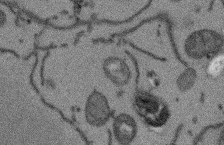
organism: Arabidopsis thaliana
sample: Root tip